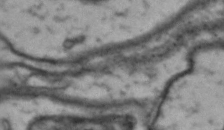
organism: Drosophila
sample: Brain